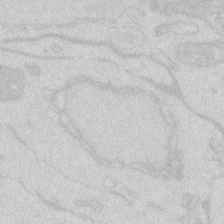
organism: Zebrafish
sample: Macrophage